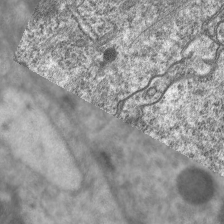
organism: C. elegans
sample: Pharynx